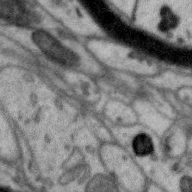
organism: Zebra finch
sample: Brain